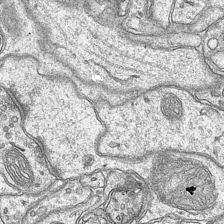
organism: Mouse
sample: CA1 Hippocampus